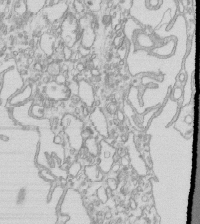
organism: Mouse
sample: Macrophages